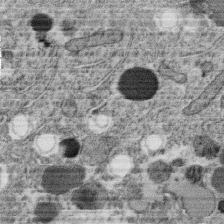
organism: C. elegans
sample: C. elegans oocyte; sperm cells